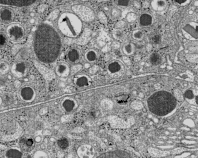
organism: C57BL Mouse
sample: Pancreatic islet